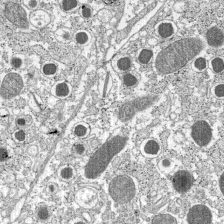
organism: C57BL Mouse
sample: Pancreatic islet